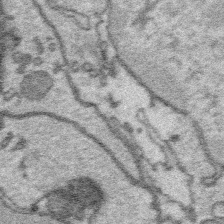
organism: Platynereis dumerilii